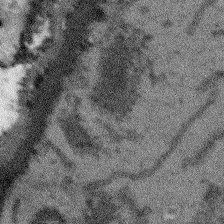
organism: Arabidopsis thaliana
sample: Root tip